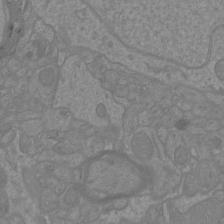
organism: Mouse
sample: Cortical neurons